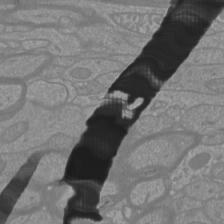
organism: Mouse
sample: Cortical neurons